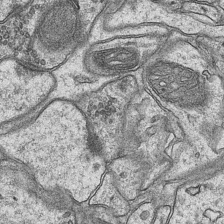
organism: Mouse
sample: CA1 Hippocampus